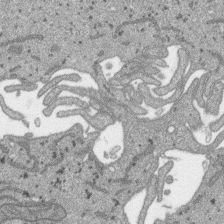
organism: Human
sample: Lung epithelial cells infected with SARS-CoV-2